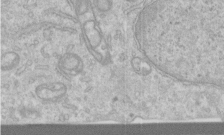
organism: Human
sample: Centriole in RPE cells